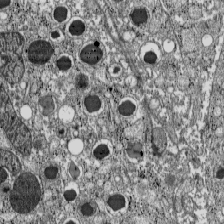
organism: C57BL Mouse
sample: Pancreatic islet